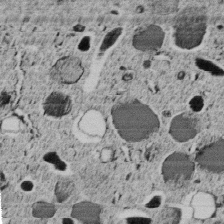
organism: C. elegans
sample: C. elegans embryo early stage